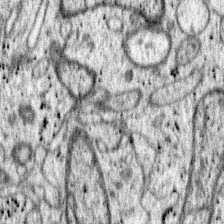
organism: Human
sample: HeLa cells